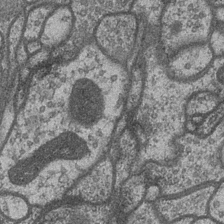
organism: Drosophila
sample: Optic medulla